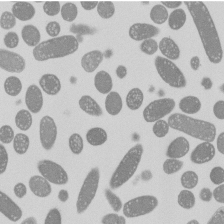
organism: E. coli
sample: Bacterial nucleoid